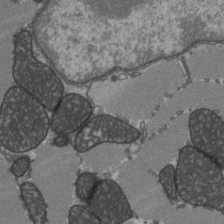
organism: C57BL Mouse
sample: Heart